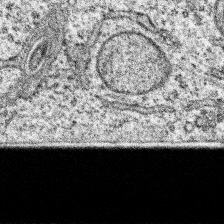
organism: Human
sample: HeLa cells